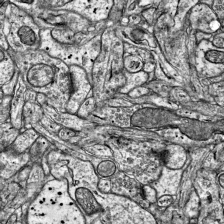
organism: Mouse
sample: Visual Cortex